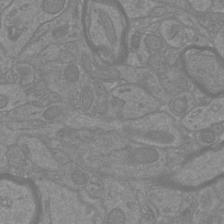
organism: Mouse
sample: Cortical neurons